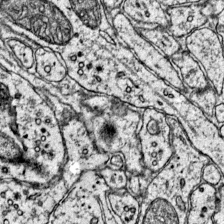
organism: Mouse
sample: Primary visual cortex